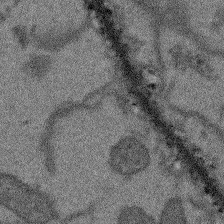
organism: Arabidopsis thaliana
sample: Root tip